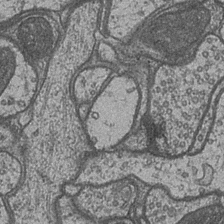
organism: Drosophila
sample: Optic medulla